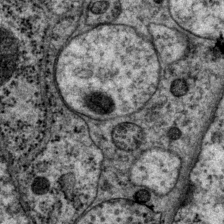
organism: P. pacificus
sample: Pharynx